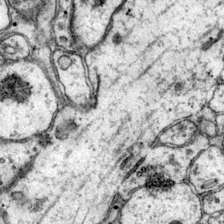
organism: Mouse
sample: Primary visual cortex